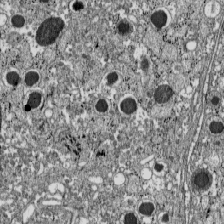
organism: C57BL Mouse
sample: Pancreatic islet